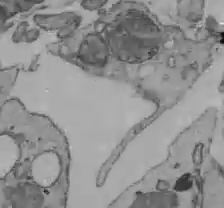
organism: C57BL Mouse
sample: Liver